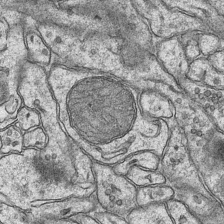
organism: Mouse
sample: CA1 Hippocampus